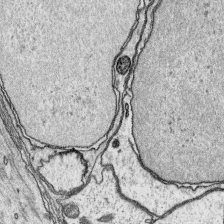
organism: Platynereis dumerilii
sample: Parapodia